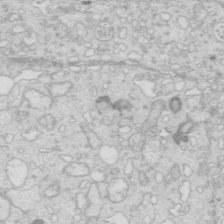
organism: Mouse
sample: Multiciliated cells